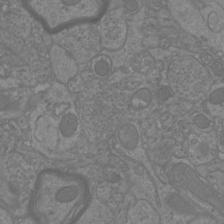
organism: Mouse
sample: Cortical neurons